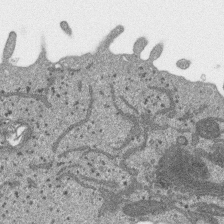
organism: Human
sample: Lung epithelial cells infected with SARS-CoV-2